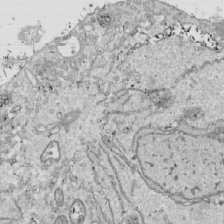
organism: Drosophila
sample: Cell division; meiosis; drosophila spermatocytes